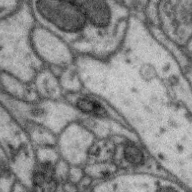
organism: Zebra finch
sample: Brain